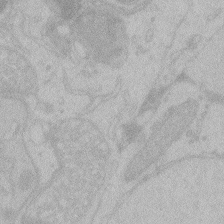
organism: Zebrafish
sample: Macrophage infected with Toxoplasma gondii